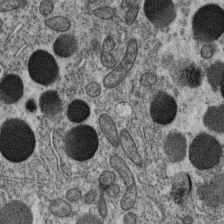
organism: C. elegans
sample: C. elegans oocyte; sperm cells